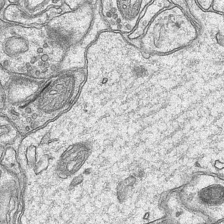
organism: Mouse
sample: CA1 Hippocampus